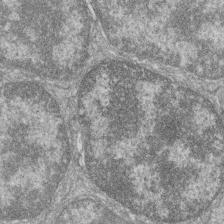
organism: Zebrafish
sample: Cilia; retinal pigment epithelium